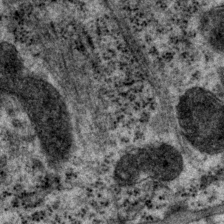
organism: P. pacificus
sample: Pharynx